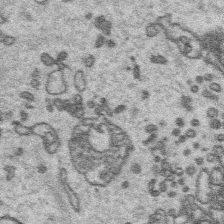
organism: Platynereis dumerilii